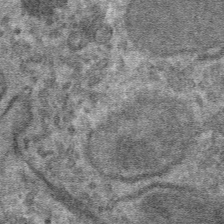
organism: Mouse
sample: Mouse hepatocytes